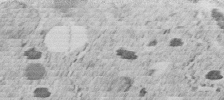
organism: C. elegans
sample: C. elegans embryo early stage